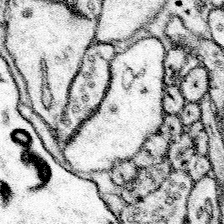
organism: Mouse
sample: Somatosensory cortex neuropil